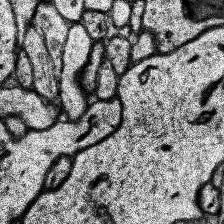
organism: Human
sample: Temporal Lobe